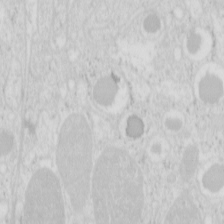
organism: Mouse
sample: Pancreas